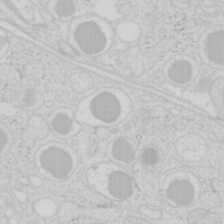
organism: Mouse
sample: Pancreas